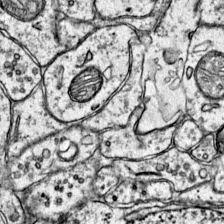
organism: Mouse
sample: Primary visual cortex